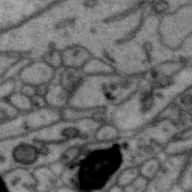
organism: Zebra finch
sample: Brain